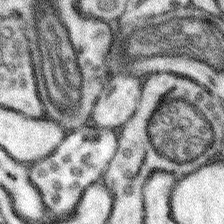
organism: Mouse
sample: Somatosensory cortex neuropil